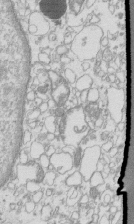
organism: Mouse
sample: Macrophages